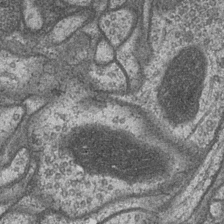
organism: Drosophila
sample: Optic medulla